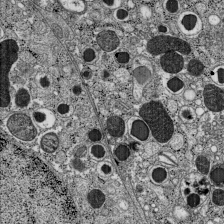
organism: C57BL Mouse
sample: Pancreatic islet